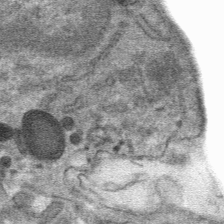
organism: Mouse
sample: Mouse hepatocytes